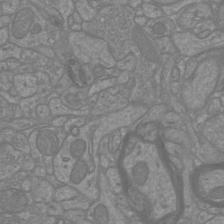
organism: Mouse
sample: Cortical neurons